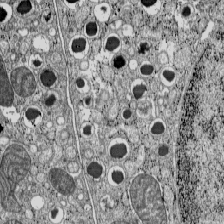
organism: C57BL Mouse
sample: Pancreatic islet